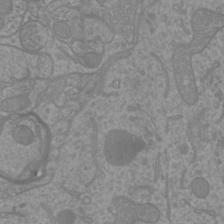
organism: Mouse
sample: Cortical neurons